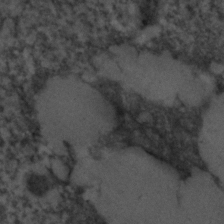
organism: C. elegans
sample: C. elegans embryo